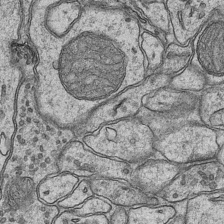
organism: Mouse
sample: CA1 Hippocampus